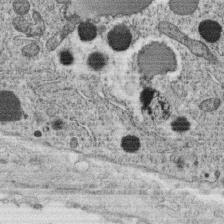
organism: C. elegans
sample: C. elegans oocyte; sperm cells